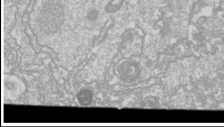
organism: Drosophila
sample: Cell division; meiosis; drosophila spermatocytes